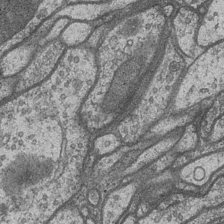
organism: Drosophila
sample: Optic medulla